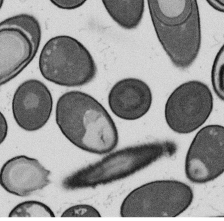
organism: B. subtilis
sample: Bacterial spore